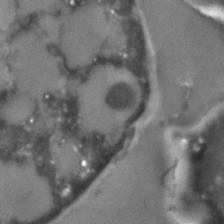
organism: C. elegans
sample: C. elegans embryo